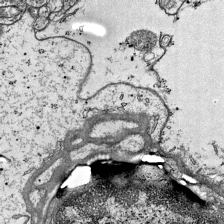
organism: Mouse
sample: Visual Cortex